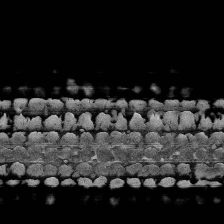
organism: Human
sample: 1205lu cells